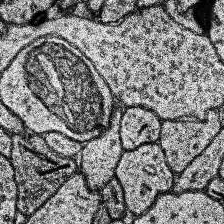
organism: Human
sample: Temporal Lobe